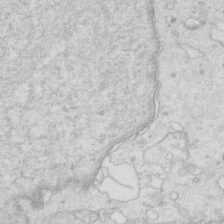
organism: Mouse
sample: Multiciliated cells